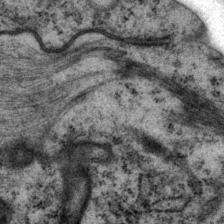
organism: P. pacificus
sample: Pharynx